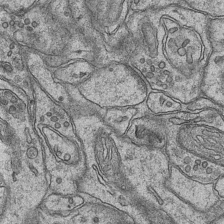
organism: Mouse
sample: CA1 Hippocampus